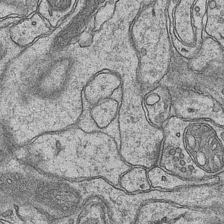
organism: Mouse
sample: CA1 Hippocampus